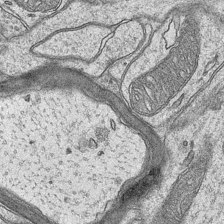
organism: Mouse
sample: CA1 Hippocampus